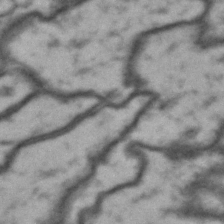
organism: Drosophila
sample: Brain